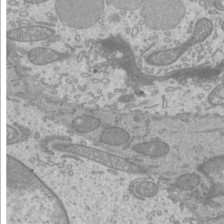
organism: Mouse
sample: Cilia; mouse epididymis